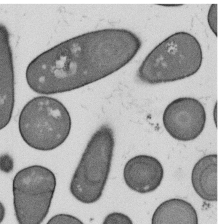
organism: B. subtilis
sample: Bacterial spore